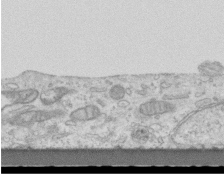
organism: Mouse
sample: Centriole in ependymal cells